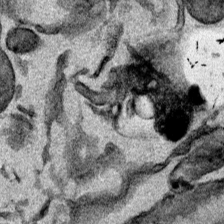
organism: Mouse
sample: Cancer cell death in ED-1 cells